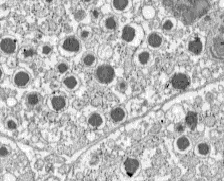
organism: C57BL Mouse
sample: Pancreatic islet